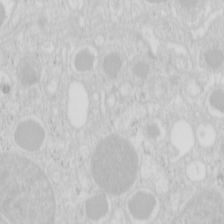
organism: Mouse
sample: Pancreas